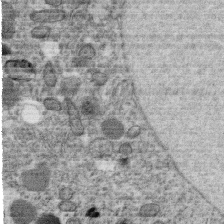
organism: C. elegans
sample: C. elegans oocyte; sperm cells